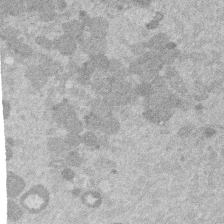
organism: Mouse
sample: Dividing mouse embryo 1 cell stage